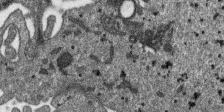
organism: Human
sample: Lung epithelial cells infected with SARS-CoV-2